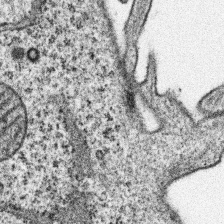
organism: Human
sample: HeLa cells